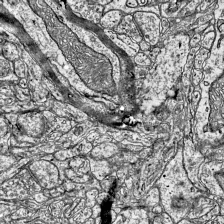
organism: Mouse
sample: Visual Cortex